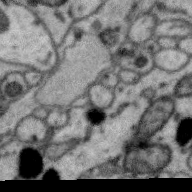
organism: Zebra finch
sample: Brain